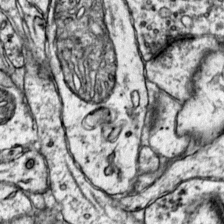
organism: Mouse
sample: Primary visual cortex